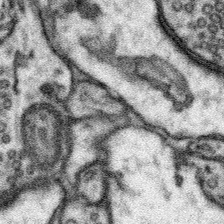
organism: Mouse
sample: Somatosensory cortex neuropil